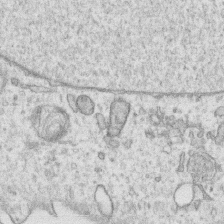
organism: Human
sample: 1205lu cells